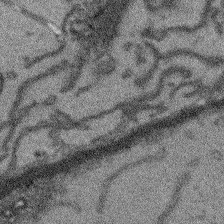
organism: Arabidopsis thaliana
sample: Root tip